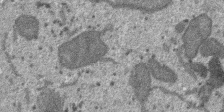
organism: Human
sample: Lung epithelial cells infected with SARS-CoV-2